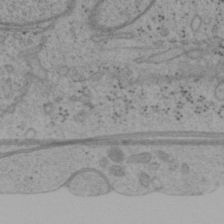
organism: Human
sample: HeLa cells